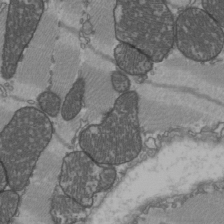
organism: C57BL Mouse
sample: Heart